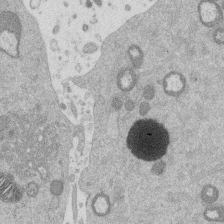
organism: Mouse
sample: Dividing mouse embryo 1 cell stage